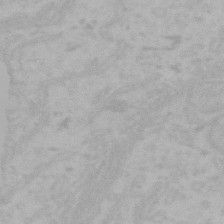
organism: Mouse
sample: Choroid plexus